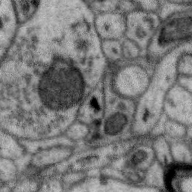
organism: Zebra finch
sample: Brain